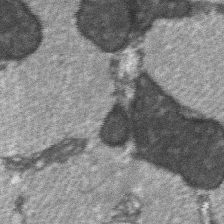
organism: C57BL Mouse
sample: Soleus